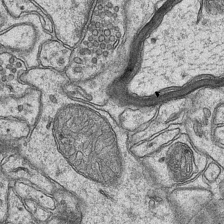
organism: Mouse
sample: CA1 Hippocampus